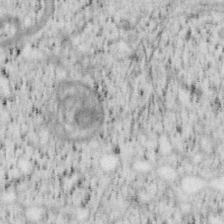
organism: Mouse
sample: OT-I killer T cells with ID8 ovarian cancer cells